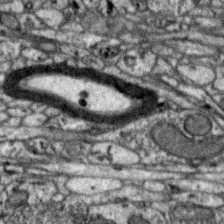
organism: Zebra finch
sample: Brain